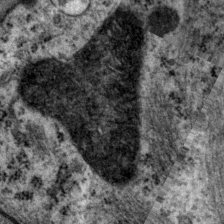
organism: P. pacificus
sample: Pharynx